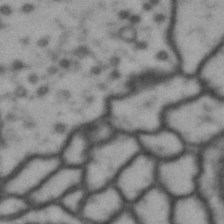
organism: Drosophila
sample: Brain